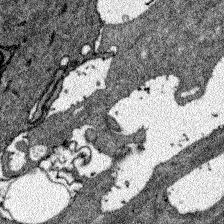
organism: Zebrafish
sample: Larval olfactory bulb